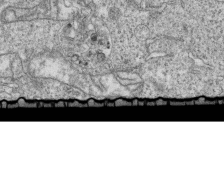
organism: Human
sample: HeLa cell HIV synapse